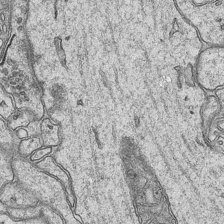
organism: Mouse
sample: CA1 Hippocampus